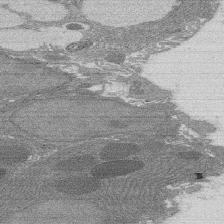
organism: Rat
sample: Salivary granule